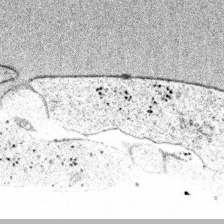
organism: Human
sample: HeLa cells